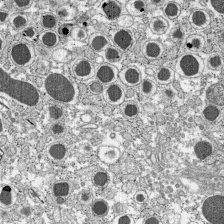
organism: C57BL Mouse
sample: Pancreatic islet